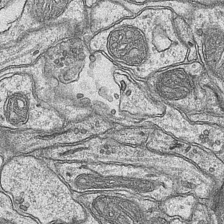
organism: Mouse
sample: CA1 Hippocampus